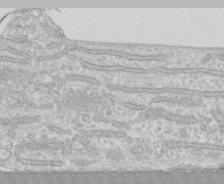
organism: Human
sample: CRL-1474